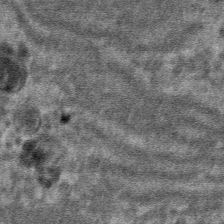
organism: Mouse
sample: Mouse hepatocytes